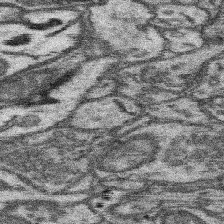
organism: Mouse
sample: Somatosensory cortex neuropil